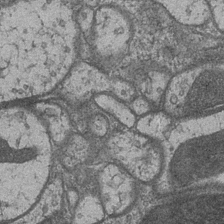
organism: Drosophila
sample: Optic medulla